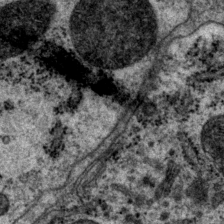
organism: P. pacificus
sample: Pharynx